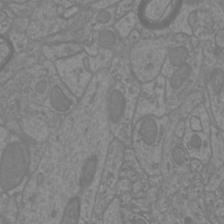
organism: Mouse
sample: Cortical neurons